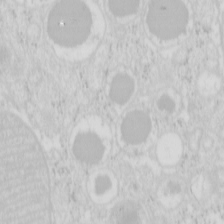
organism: Mouse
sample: Pancreas